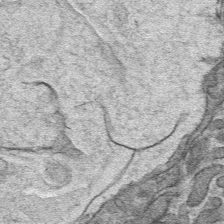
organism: Mouse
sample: Mouse hepatocytes